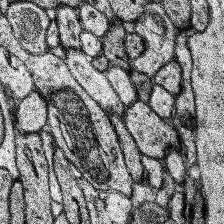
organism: Human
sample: Temporal Lobe